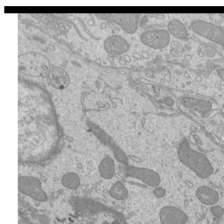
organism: Mouse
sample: Cilia; mouse epididymis